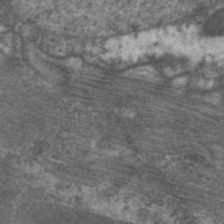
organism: C. elegans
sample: Pharynx